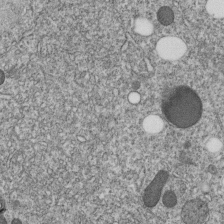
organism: C. elegans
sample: C. elegans embryo early stage